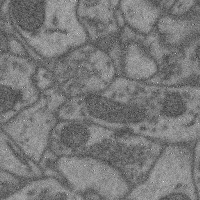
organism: Mouse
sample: Cerebral cortex